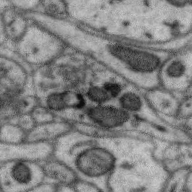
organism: Zebra finch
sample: Brain